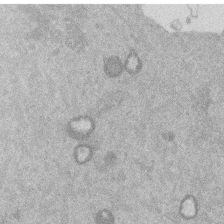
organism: Mouse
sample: Dividing mouse embryo 1 cell stage